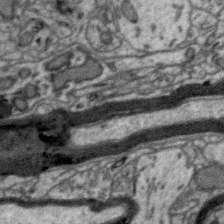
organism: Zebra finch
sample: Brain